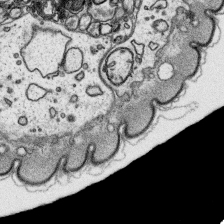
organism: Platynereis dumerilii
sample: Parapodia